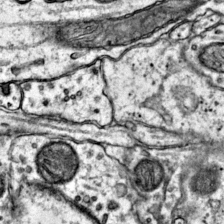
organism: Mouse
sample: Primary visual cortex